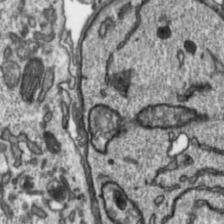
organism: Toxoplasma gondii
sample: Parasites in a vacuole inside a host cell